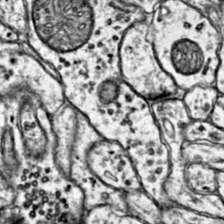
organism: Mouse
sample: Primary visual cortex